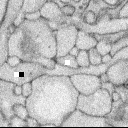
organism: Rabbit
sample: Retina